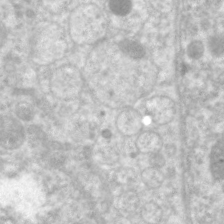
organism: C. elegans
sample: Pharynx